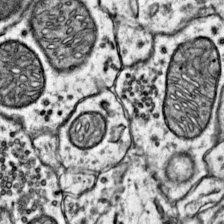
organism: Mouse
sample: Primary visual cortex